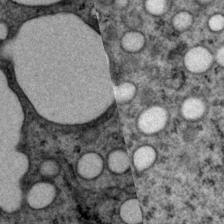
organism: P. pacificus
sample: Pharynx